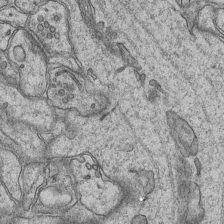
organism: Mouse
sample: CA1 Hippocampus